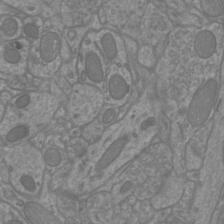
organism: Mouse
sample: Cortical neurons